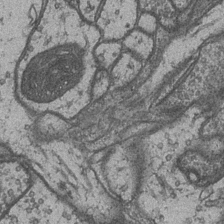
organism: Drosophila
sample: Optic medulla